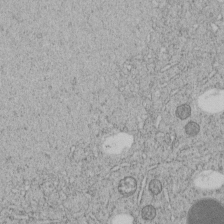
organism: C. elegans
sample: C. elegans embryo early stage